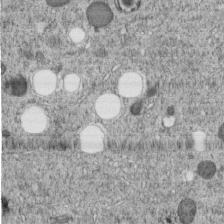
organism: C. elegans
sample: C. elegans embryo early stage